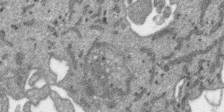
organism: Human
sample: Lung epithelial cells infected with SARS-CoV-2